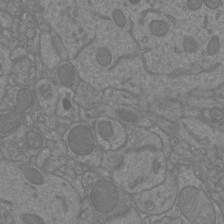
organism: Mouse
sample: Cortical neurons